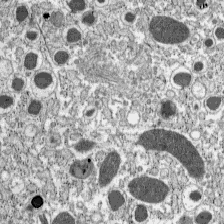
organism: C57BL Mouse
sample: Pancreatic islet